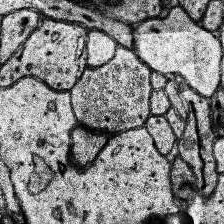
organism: Human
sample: Temporal Lobe